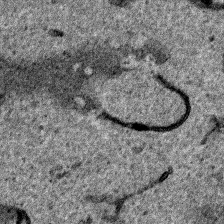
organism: Human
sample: Mitochondria in HCT116 cells